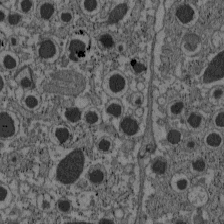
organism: C57BL Mouse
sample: Pancreatic islet